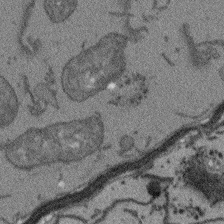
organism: Arabidopsis thaliana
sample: Root tip